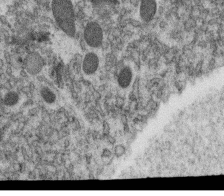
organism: C. elegans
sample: C. elegans oocyte; sperm cells